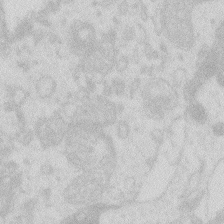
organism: Zebrafish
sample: Macrophage